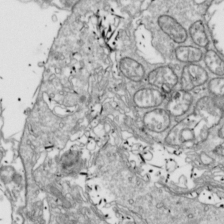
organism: Drosophila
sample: Cell division; meiosis; drosophila spermatocytes